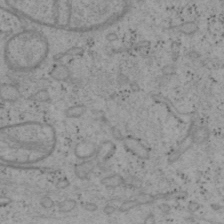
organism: Human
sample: HeLa cells